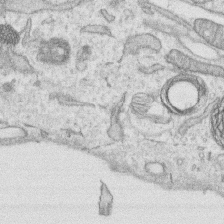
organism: Human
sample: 1205lu cells